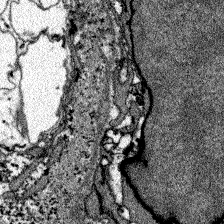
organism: Zebrafish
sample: Larval olfactory bulb